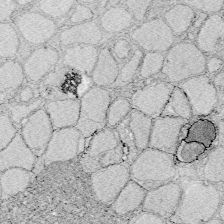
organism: Zebrafish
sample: Whole-Brain